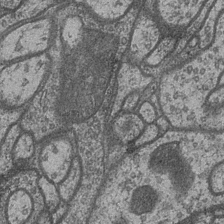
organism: Drosophila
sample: Optic medulla